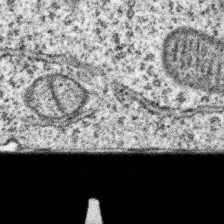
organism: Human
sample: HeLa cells